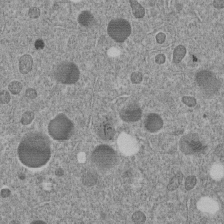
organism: C. elegans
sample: C. elegans embryo early stage